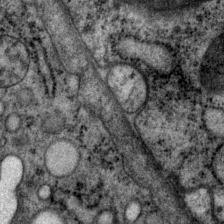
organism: P. pacificus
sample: Pharynx